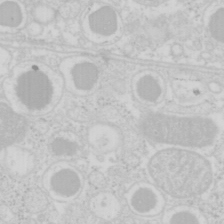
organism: Mouse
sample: Pancreas